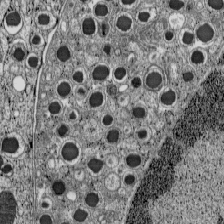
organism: C57BL Mouse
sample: Pancreatic islet